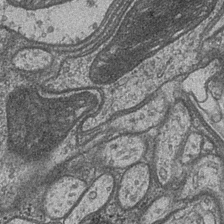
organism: Drosophila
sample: Optic medulla